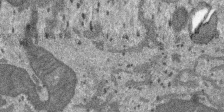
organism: Human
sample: Lung epithelial cells infected with SARS-CoV-2